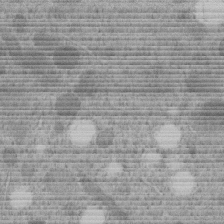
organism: C. elegans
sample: C. elegans embryo early stage